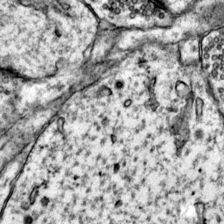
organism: Mouse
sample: Primary visual cortex